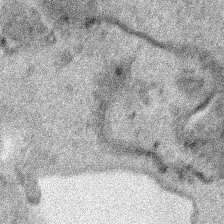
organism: Human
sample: Mitochondria in HCT116 cells